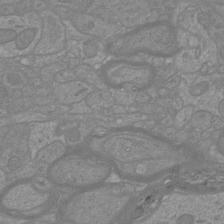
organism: Mouse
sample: Cortical neurons